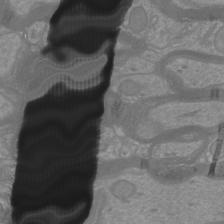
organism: Mouse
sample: Cortical neurons